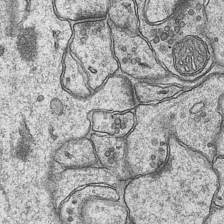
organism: Mouse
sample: CA1 Hippocampus